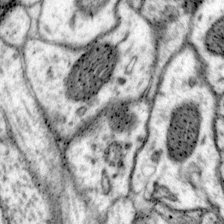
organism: Mouse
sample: Primary visual cortex